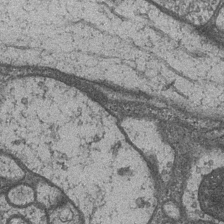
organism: Drosophila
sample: Optic medulla